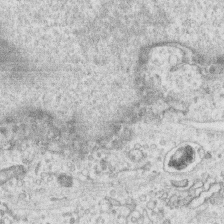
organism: Human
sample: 1205lu cells